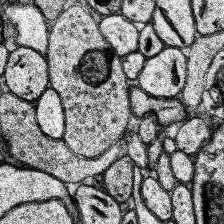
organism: Human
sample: Temporal Lobe